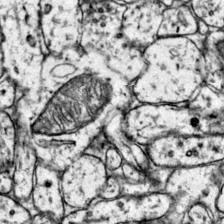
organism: Mouse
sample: Primary visual cortex